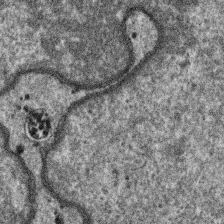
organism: Human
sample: Lung epithelial cells infected with SARS-CoV-2